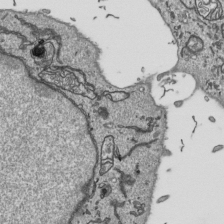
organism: Human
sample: Mitochondria in HCT116 cells